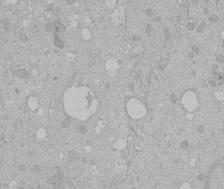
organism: Human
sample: Melanocyte Keratinocyte synapse skin construct